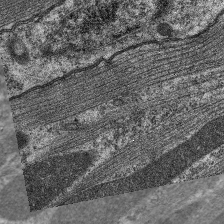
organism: C. elegans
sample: Pharynx